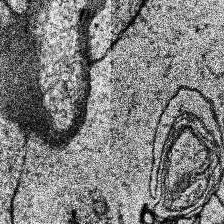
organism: Human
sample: Temporal Lobe